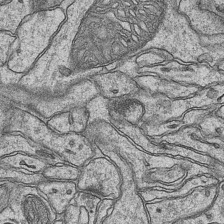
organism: Mouse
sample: CA1 Hippocampus